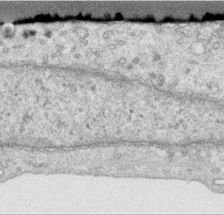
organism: Human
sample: Centriole in RPE cells